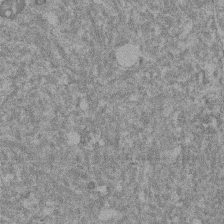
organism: Mouse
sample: Dividing mouse embryo 1 cell stage